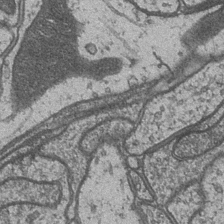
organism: Drosophila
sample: Optic medulla